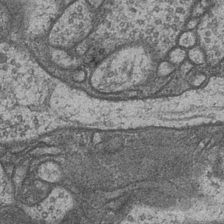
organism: Drosophila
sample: Optic medulla